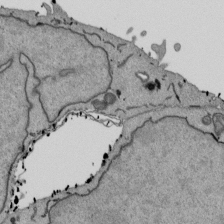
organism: Mouse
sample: ED-1 cell nuclei; centrioles